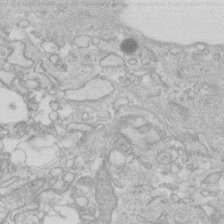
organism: Human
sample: Fibroblast cells